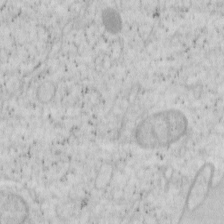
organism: Human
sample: HeLa cells